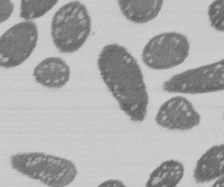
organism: E. coli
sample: Bacterial nucleoid